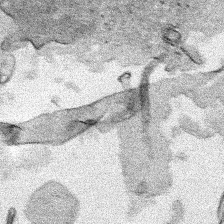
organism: Human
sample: Mitochondria in HCT116 cells